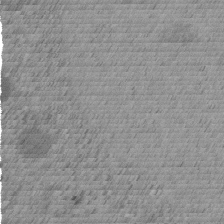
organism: C. elegans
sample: C. elegans embryo early stage